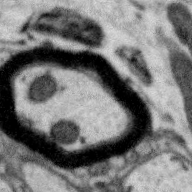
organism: Zebra finch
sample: Brain